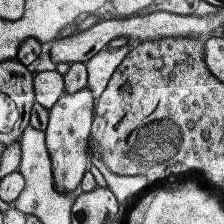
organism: Human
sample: Temporal Lobe